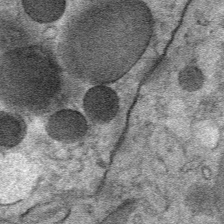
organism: Mouse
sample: Mouse Salivary gland